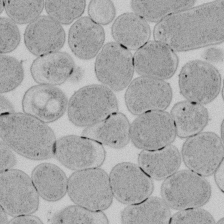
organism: E. coli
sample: Bacterial nucleoid